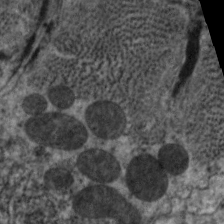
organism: C. elegans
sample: Pharynx